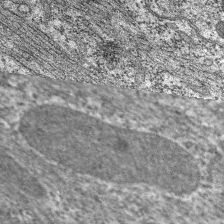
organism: C. elegans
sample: Pharynx